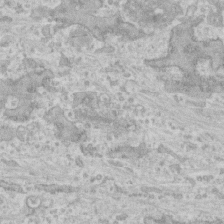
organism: Human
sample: CRL-1474